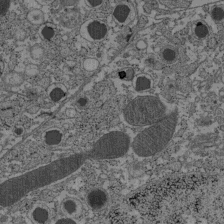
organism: C57BL Mouse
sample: Pancreatic islet